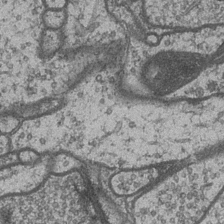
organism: Drosophila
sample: Optic medulla